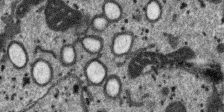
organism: Human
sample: Lung epithelial cells infected with SARS-CoV-2